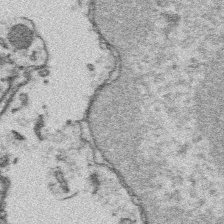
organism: Platynereis dumerilii